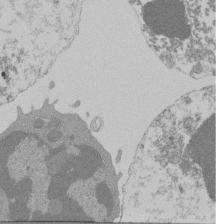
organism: Mouse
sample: Activated Pmel transgenic CD8+ T Cells